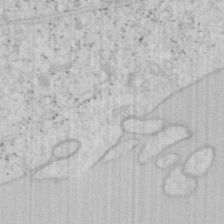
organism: Human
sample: HeLa cells